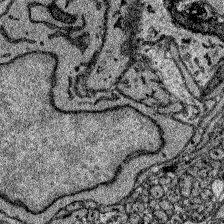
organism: Zebrafish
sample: Larval olfactory bulb